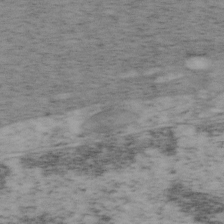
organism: Mouse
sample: OT-I killer T cells with ID8 ovarian cancer cells